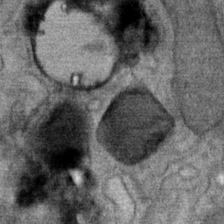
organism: Mouse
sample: Mouse Salivary gland